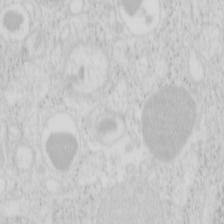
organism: Mouse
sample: Pancreas